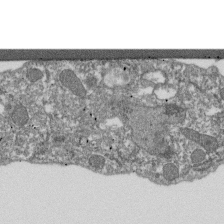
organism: Dictyostelium discoideum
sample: Dictyostelium multivesicular bodies